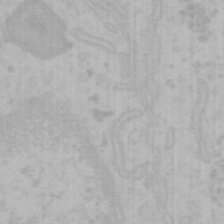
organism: Mouse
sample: Choroid plexus